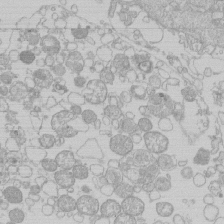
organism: Human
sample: Macrophage cells